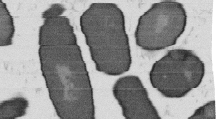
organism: B. subtilis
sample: Bacterial spore